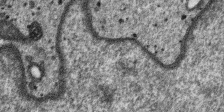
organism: Human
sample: Lung epithelial cells infected with SARS-CoV-2